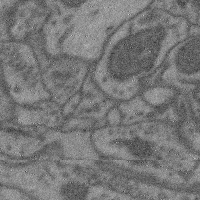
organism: Mouse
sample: Cerebral cortex